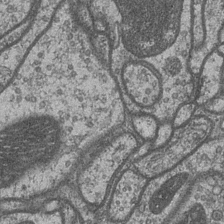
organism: Drosophila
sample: Optic medulla